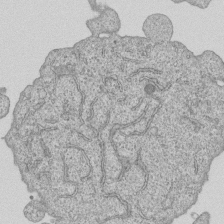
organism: Human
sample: MDA-MB-231 cells